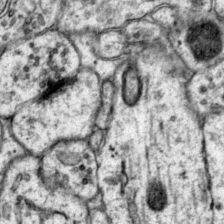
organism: Mouse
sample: Primary visual cortex